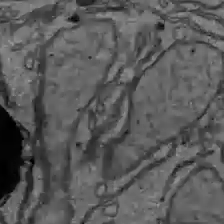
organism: C57BL Mouse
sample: Liver